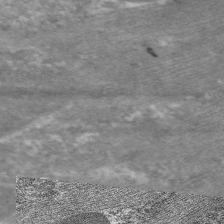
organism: C. elegans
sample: Pharynx